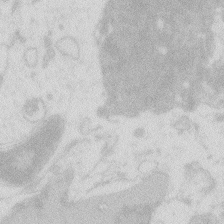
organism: Zebrafish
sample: Macrophage